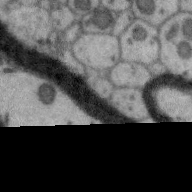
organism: Zebra finch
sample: Brain